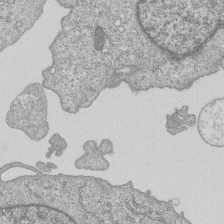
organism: Human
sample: MDA-MB-231 cells